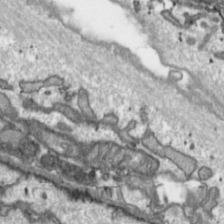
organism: Toxoplasma gondii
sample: Parasites in a vacuole inside a host cell